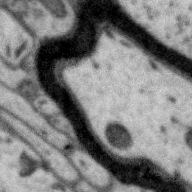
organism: Zebra finch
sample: Brain